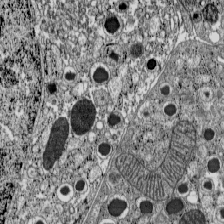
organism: C57BL Mouse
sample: Pancreatic islet